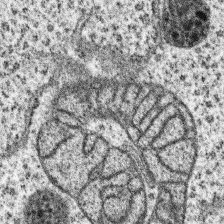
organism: Human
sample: HeLa cells